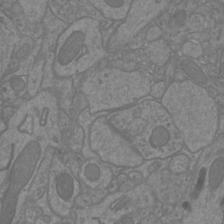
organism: Mouse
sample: Cortical neurons